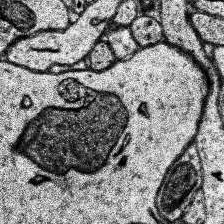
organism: Human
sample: Temporal Lobe